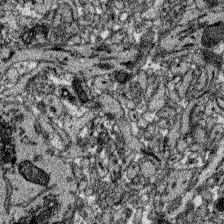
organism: Zebrafish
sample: Larval olfactory bulb